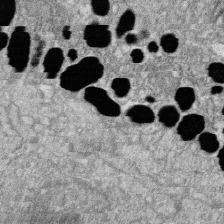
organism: Zebrafish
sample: Cilia; retinal pigment epithelium